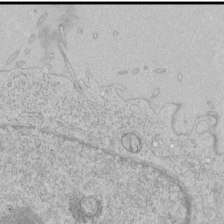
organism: Human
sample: Mitochondria in HCT116 cells